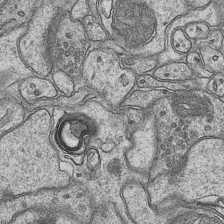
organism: Mouse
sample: CA1 Hippocampus